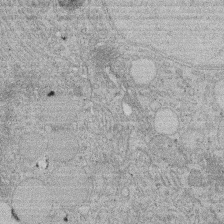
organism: Rat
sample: Salivary granule